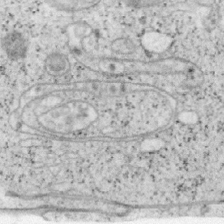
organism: Mouse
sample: OT-I killer T cells with ID8 ovarian cancer cells